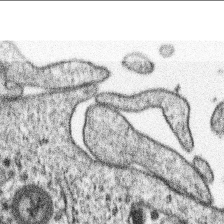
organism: Human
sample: HeLa cells